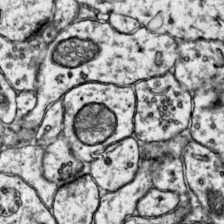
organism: Mouse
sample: Primary visual cortex